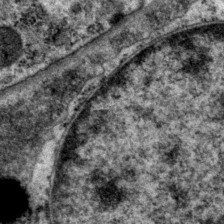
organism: P. pacificus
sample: Pharynx